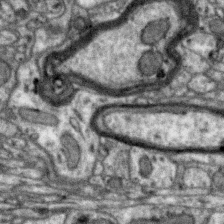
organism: Zebra finch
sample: Brain